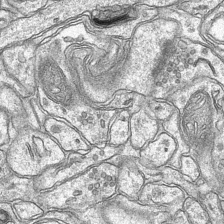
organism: Mouse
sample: CA1 Hippocampus